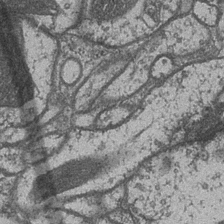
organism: Drosophila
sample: Optic medulla